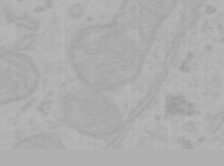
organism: Mouse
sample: Choroid plexus